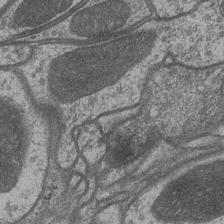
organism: Drosophila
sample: Optic medulla